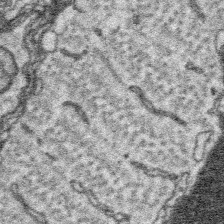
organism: Platynereis dumerilii